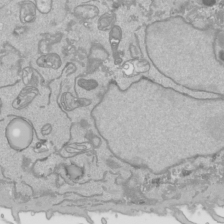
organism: Human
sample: Mitochondria in HCT116 cells